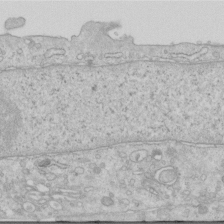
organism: Human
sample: Centriole in RPE cells